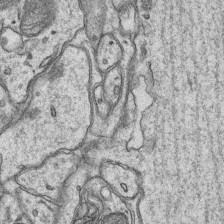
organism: Mouse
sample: CA1 Hippocampus